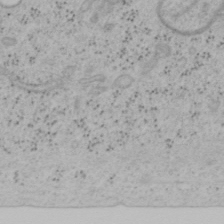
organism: Human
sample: HeLa cells